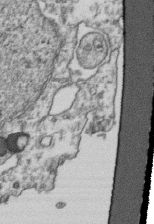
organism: Human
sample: Activated Jurkat CD4+ T cells